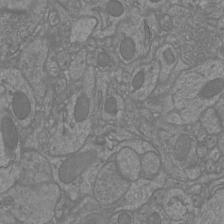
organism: Mouse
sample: Cortical neurons